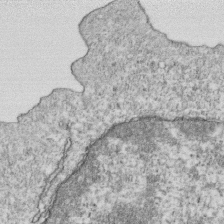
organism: Mouse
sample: Activated OT-1 CD8+ T cells